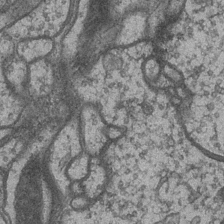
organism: Drosophila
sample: Optic medulla